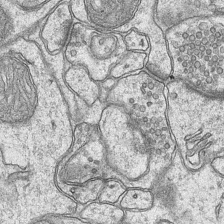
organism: Mouse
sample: CA1 Hippocampus